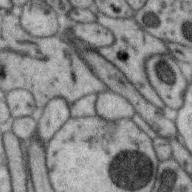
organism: Zebra finch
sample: Brain